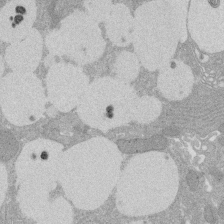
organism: Rat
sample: Salivary granule